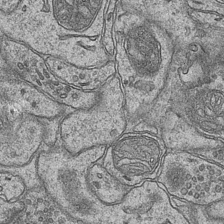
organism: Mouse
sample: CA1 Hippocampus